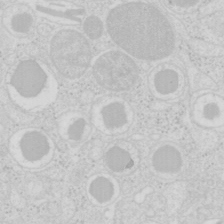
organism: Mouse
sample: Pancreas